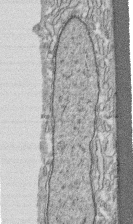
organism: Human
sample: CRL-1474